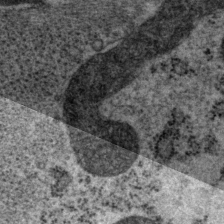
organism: P. pacificus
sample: Pharynx